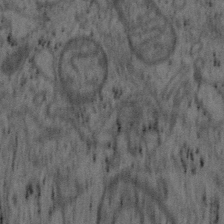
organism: Human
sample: HeLa cells